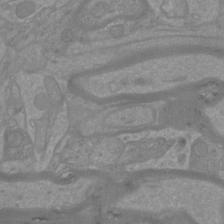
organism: Mouse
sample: Cortical neurons